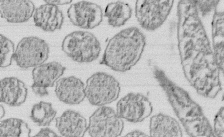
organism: E. coli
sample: Bacterial nucleoid